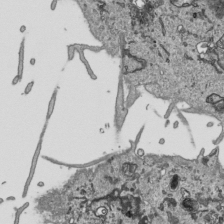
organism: Human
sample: Mitochondria in HCT116 cells